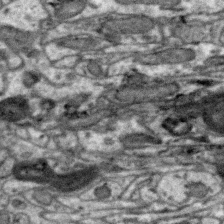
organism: Zebra finch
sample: Brain